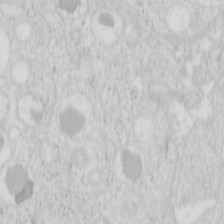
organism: Mouse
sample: Pancreas